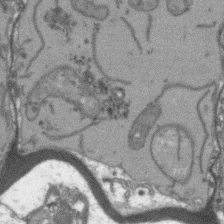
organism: Arabidopsis thaliana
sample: Root tip